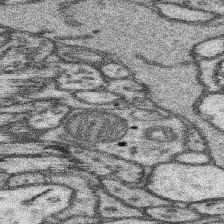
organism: Mouse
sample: Somatosensory cortex neuropil